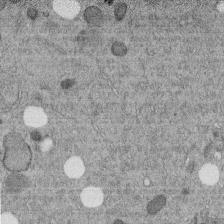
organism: C. elegans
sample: C. elegans embryo early stage